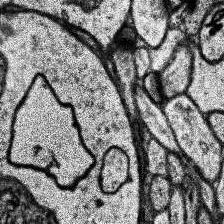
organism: Human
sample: Temporal Lobe